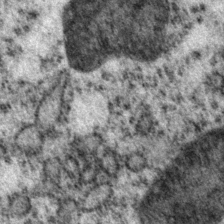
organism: P. pacificus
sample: Pharynx